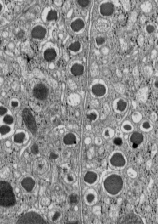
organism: C57BL Mouse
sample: Pancreatic islet